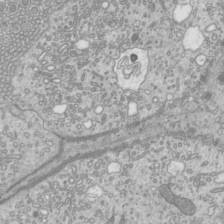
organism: Mouse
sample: Cilia; mouse epididymis